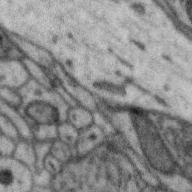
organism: Zebra finch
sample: Brain